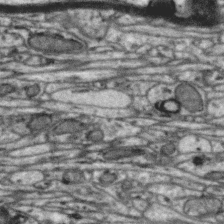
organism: Zebra finch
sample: Brain